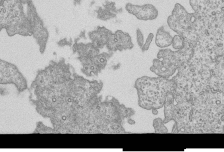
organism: Human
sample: MDA-MB-231 cells